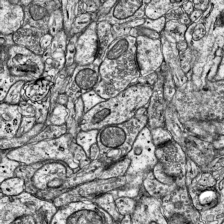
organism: Mouse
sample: Visual Cortex